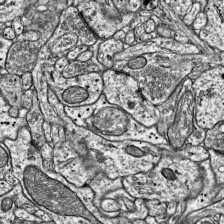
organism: Mouse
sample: Visual Cortex